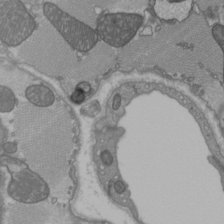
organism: C57BL Mouse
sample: Heart